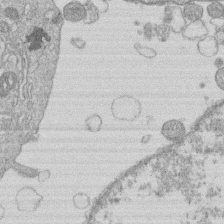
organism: Human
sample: Macrophage cells